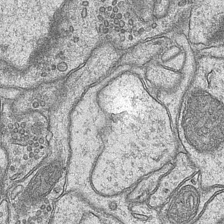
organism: Mouse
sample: CA1 Hippocampus